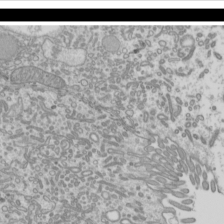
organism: Mouse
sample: Cilia; mouse epididymis